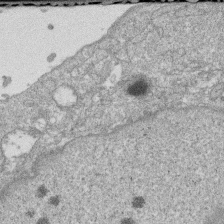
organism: Human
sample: HeLa cell HIV synapse